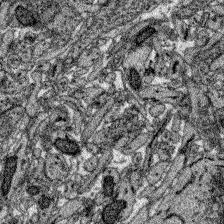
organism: Zebrafish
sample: Larval olfactory bulb